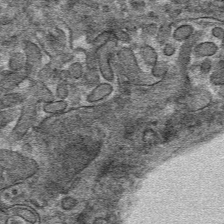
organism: Mouse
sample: Mouse hepatocytes